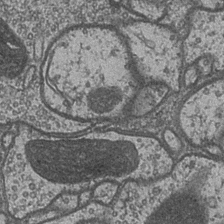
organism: Drosophila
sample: Optic medulla